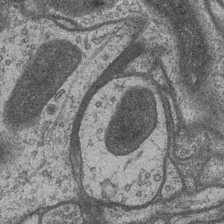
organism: Drosophila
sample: Optic medulla